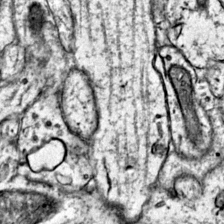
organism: Mouse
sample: Primary visual cortex